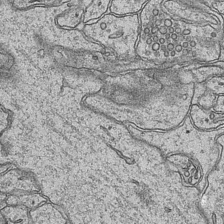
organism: Mouse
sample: CA1 Hippocampus